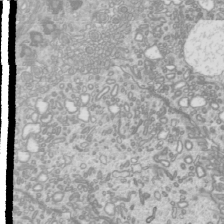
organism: Mouse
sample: Cilia; mouse epididymis